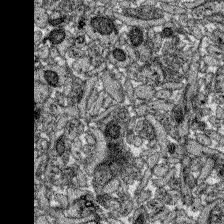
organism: Zebrafish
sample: Larval olfactory bulb